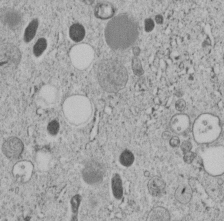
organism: C. elegans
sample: C. elegans embryo early stage